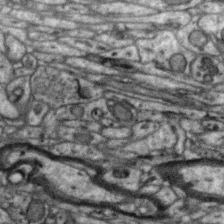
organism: Zebra finch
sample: Brain